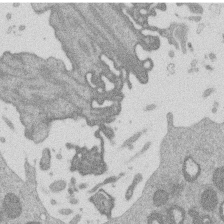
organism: Mouse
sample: Dividing mouse embryo 1 cell stage